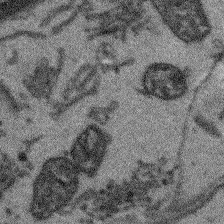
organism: Arabidopsis thaliana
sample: Root tip